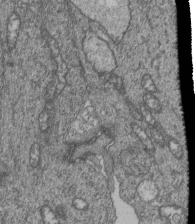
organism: Human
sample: Retinal organoid Rod and Cone cells